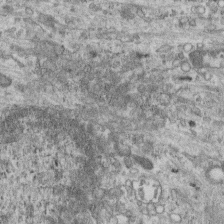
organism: Mouse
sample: Centriole in ependymal cells